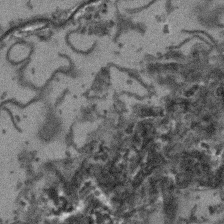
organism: Arabidopsis thaliana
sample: Root tip